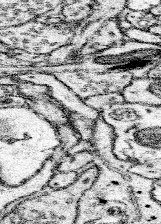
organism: Mouse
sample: Somatosensory cortex neuropil